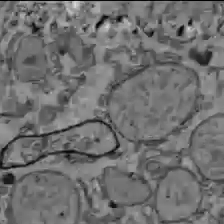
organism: C57BL Mouse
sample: Liver